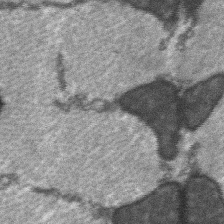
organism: C57BL Mouse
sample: Soleus